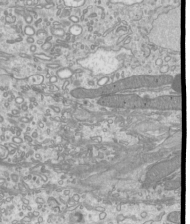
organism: Mouse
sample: Cilia; mouse epididymis